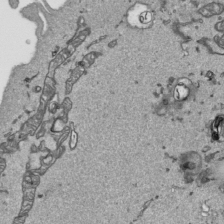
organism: Human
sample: Mitochondria in HCT116 cells